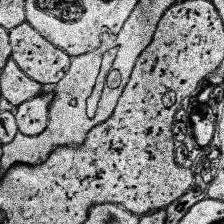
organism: Human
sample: Temporal Lobe